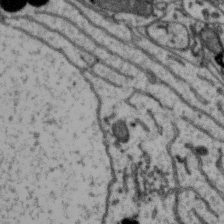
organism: Zebra finch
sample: Brain